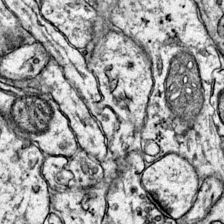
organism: Mouse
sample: Primary visual cortex